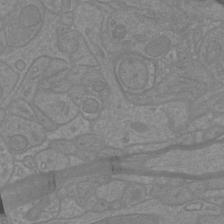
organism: Mouse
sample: Cortical neurons